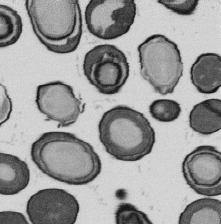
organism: B. subtilis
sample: Bacterial spore